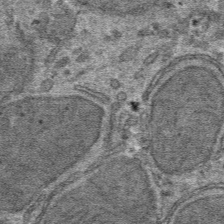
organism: Mouse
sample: Mouse hepatocytes